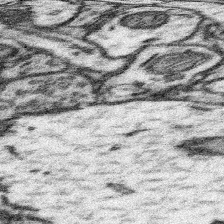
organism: Mouse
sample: Somatosensory cortex neuropil